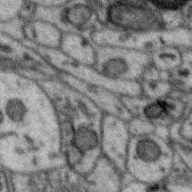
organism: Zebra finch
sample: Brain